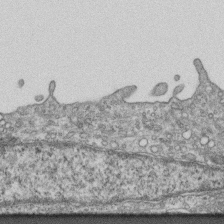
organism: Mouse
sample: Centriole in ependymal cells